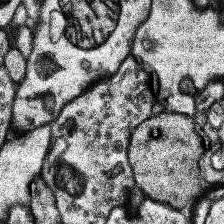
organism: Human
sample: Temporal Lobe